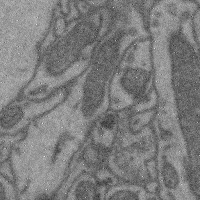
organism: Mouse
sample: Cerebral cortex